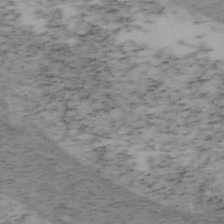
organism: Mouse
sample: OT-I killer T cells with ID8 ovarian cancer cells